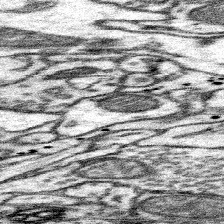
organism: Mouse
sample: Somatosensory cortex neuropil